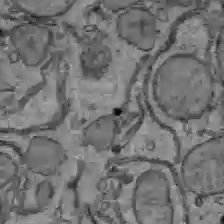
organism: C57BL Mouse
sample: Liver